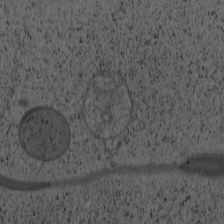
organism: African green monkey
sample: COS-7 cells